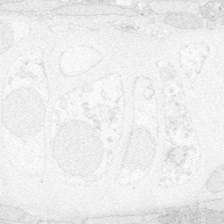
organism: Zebrafish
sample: Whole-Brain